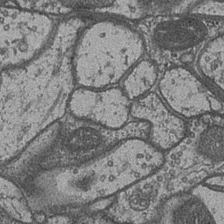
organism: Drosophila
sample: Optic medulla